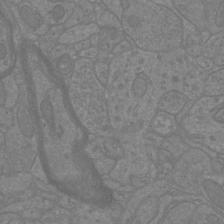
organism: Mouse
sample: Cortical neurons